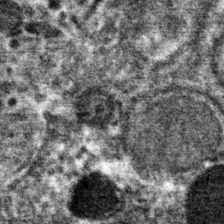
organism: Mouse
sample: Mouse hepatocytes